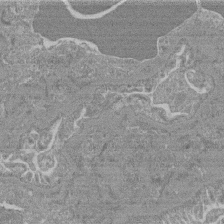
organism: Mouse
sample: Glomerulus